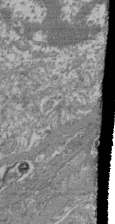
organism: Mouse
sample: Glomerulus